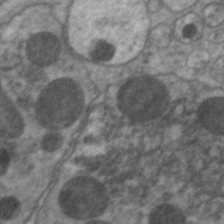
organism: C. elegans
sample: Pharynx